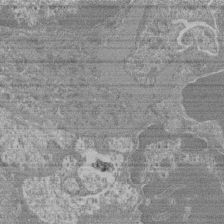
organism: Mouse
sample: Glomerulus